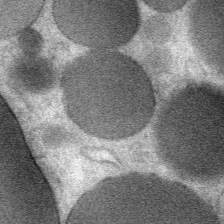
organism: Mouse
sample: Mouse Salivary gland